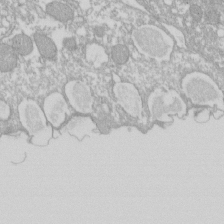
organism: Xenopus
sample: Cilia; centrioles in frog embryo cells